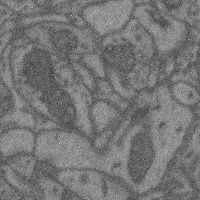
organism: Mouse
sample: Cerebral cortex